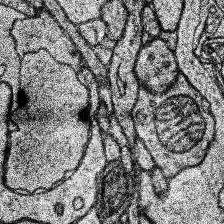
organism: Human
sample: Temporal Lobe